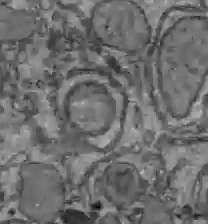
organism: C57BL Mouse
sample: Liver